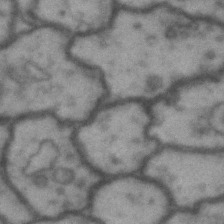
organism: Drosophila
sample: Brain